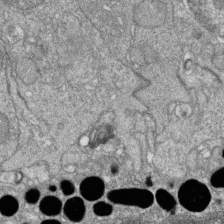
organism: Zebrafish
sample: Cilia; retinal pigment epithelium